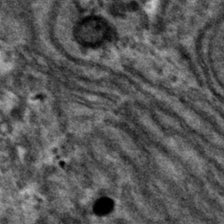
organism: Mouse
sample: Mouse hepatocytes